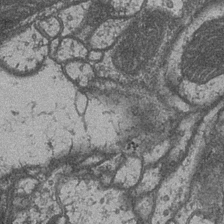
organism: Drosophila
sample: Optic medulla